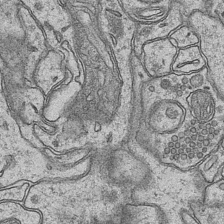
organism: Mouse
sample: CA1 Hippocampus